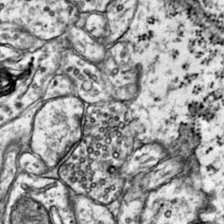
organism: Mouse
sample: Primary visual cortex